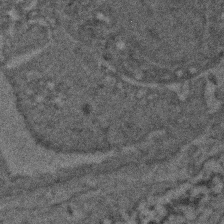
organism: Zebrafish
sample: Zebrafish embryo